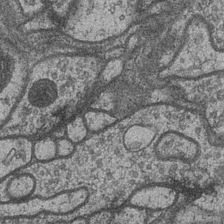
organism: Drosophila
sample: Optic medulla